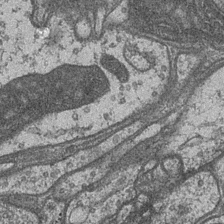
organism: Drosophila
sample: Optic medulla